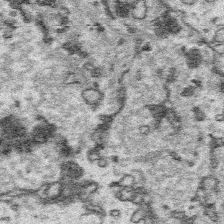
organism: Platynereis dumerilii